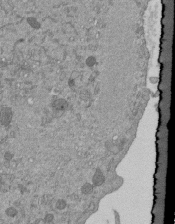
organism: Mouse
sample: ED-1 cell nuclei; centrioles